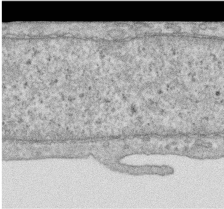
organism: Human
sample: Centriole in RPE cells